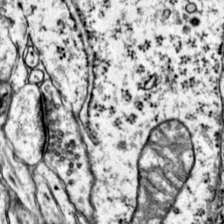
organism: Mouse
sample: Primary visual cortex